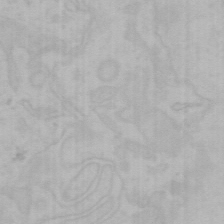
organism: Mouse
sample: Choroid plexus